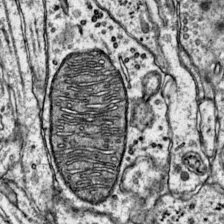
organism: Mouse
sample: Primary visual cortex